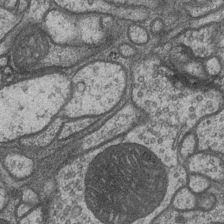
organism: Drosophila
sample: Optic medulla